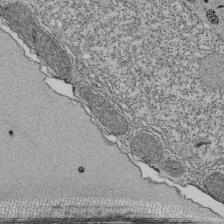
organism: Tetrahymena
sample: Cilia in tetrahymena